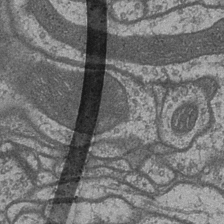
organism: Drosophila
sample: Optic medulla